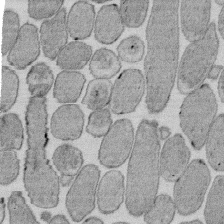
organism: E. coli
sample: Bacterial nucleoid